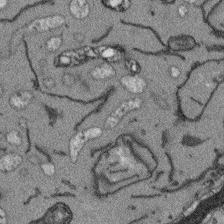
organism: Arabidopsis thaliana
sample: Root tip